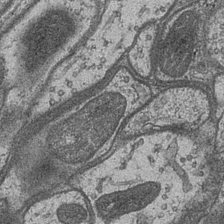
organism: Drosophila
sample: Optic medulla